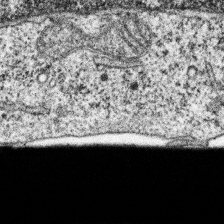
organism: Human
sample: HeLa cells